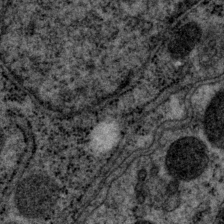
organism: P. pacificus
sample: Pharynx